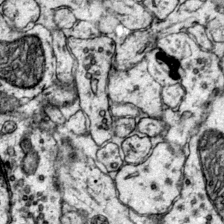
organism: Mouse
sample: Primary visual cortex